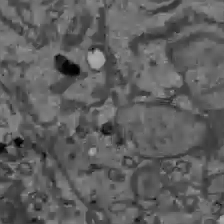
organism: C57BL Mouse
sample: Liver